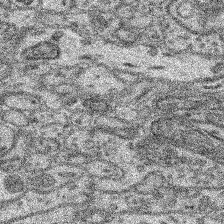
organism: Mouse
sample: Retina